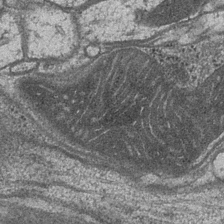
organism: Drosophila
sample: Optic medulla